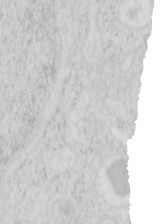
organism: Mouse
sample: Pancreas